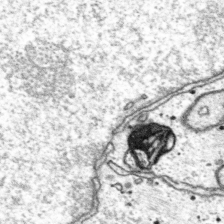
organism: Human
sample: HeLa cells